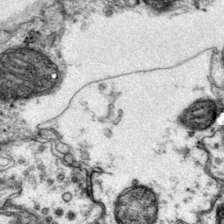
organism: Mouse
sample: Primary visual cortex